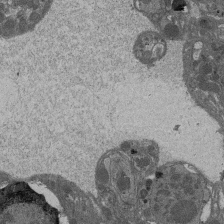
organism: Drosophila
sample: Antenna